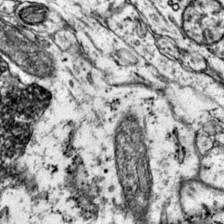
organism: Mouse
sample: Primary visual cortex